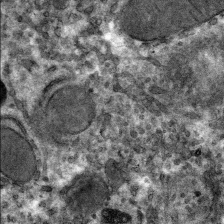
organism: Mouse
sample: Mouse hepatocytes